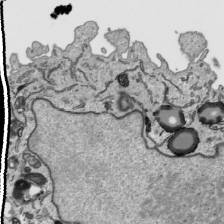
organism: Human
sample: Mitochondria in HCT116 cells